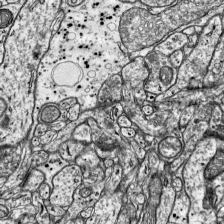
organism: Mouse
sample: Visual Cortex